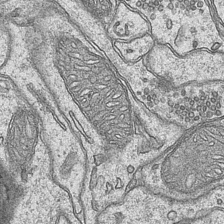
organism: Mouse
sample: CA1 Hippocampus